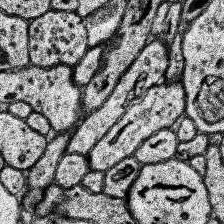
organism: Human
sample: Temporal Lobe